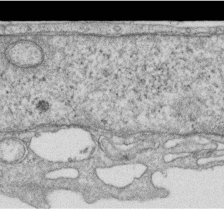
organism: Human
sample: Centriole in RPE cells